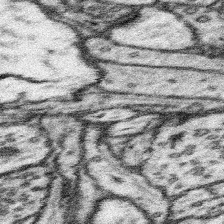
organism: Mouse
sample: Somatosensory cortex neuropil